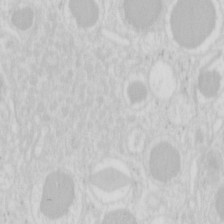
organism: Mouse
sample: Pancreas